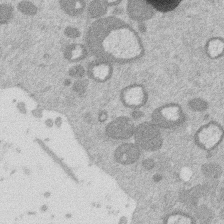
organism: Mouse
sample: Dividing mouse embryo 1 cell stage